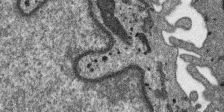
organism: Human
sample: Lung epithelial cells infected with SARS-CoV-2